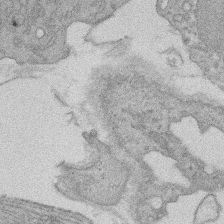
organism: Rat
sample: Salivary granule